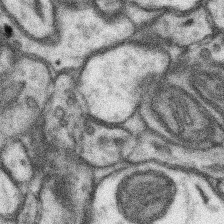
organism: Mouse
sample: Somatosensory cortex neuropil